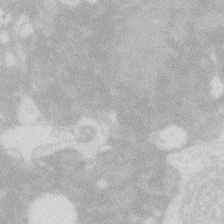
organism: Zebrafish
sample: Macrophage